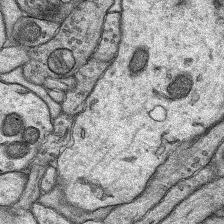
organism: Rat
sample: Hippocampus